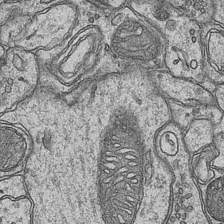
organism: Mouse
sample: CA1 Hippocampus